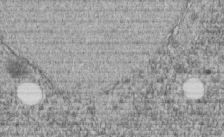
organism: C. elegans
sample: C. elegans embryo early stage